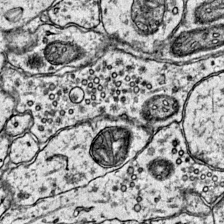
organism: Mouse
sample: Primary visual cortex